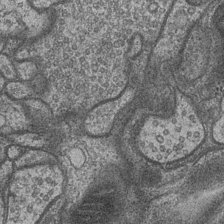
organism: Drosophila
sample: Optic medulla